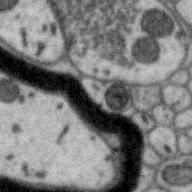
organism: Zebra finch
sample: Brain